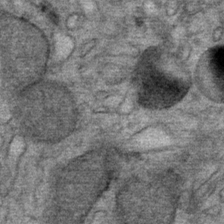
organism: Mouse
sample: Mouse Salivary gland